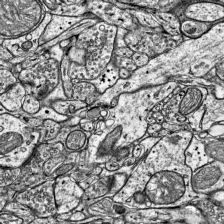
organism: Mouse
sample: Visual Cortex